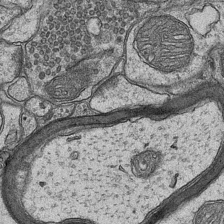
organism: Mouse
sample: CA1 Hippocampus